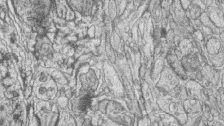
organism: Zebrafish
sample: synaptic ribbons in rod cells and cone cells